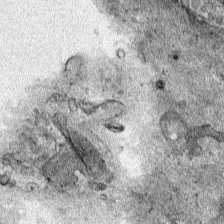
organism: Human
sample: Mitochondria in HCT116 cells